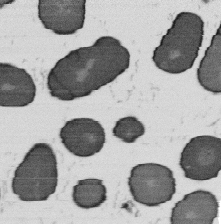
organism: B. subtilis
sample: Bacterial spore